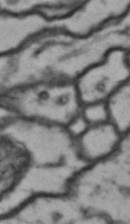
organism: Drosophila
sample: Brain